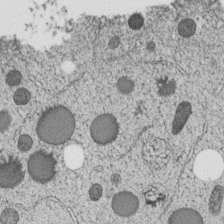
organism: C. elegans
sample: C. elegans embryo early stage